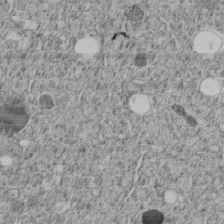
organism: C. elegans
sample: C. elegans embryo early stage